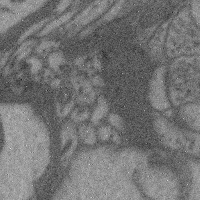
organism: Mouse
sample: Cerebral cortex